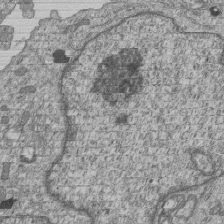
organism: Human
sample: MDA-MB-231 cells